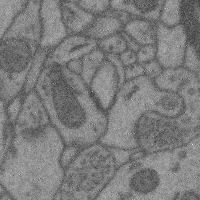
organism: Mouse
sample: Cerebral cortex